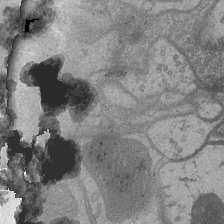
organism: Drosophila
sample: Optic medulla